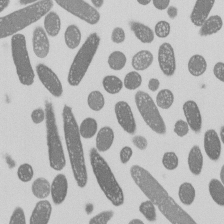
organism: E. coli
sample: Bacterial nucleoid